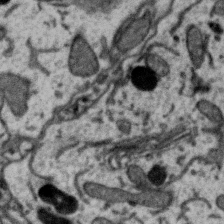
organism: Zebra finch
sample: Brain